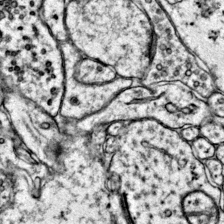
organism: Mouse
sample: Primary visual cortex